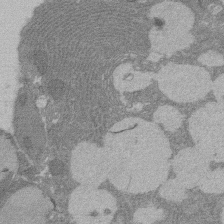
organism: Rat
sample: Salivary granule